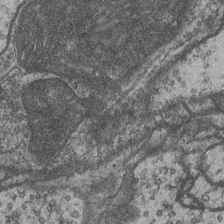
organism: Drosophila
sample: Optic medulla